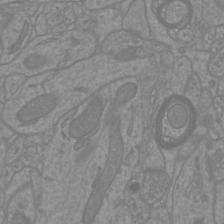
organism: Mouse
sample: Cortical neurons